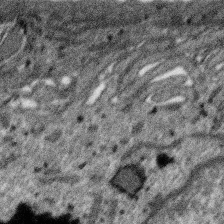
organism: Human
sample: Lung epithelial cells infected with SARS-CoV-2